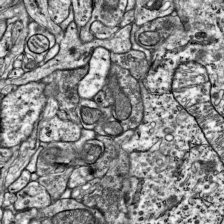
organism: Mouse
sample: Visual Cortex